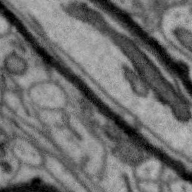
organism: Zebra finch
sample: Brain